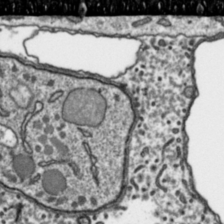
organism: Toxoplasma gondii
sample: Parasites in a vacuole inside a host cell